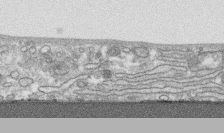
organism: Human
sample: CRL-1474